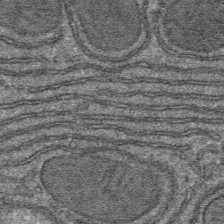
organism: Mouse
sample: Mouse hepatocytes